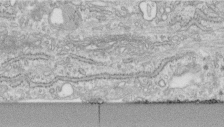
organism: Human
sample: Centriole in fibroblast cells